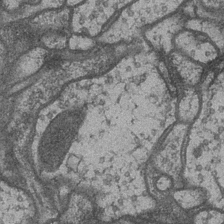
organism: Drosophila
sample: Optic medulla